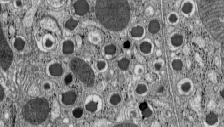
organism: C57BL Mouse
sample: Pancreatic islet